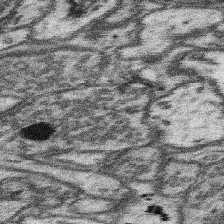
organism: Mouse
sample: Somatosensory cortex neuropil